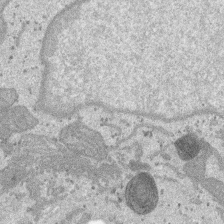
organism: Human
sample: Lung epithelial cells infected with SARS-CoV-2